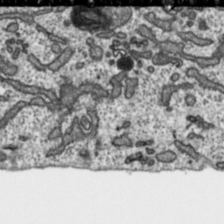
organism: Toxoplasma gondii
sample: Parasites in a vacuole inside a host cell